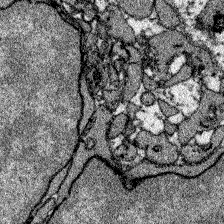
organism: Zebrafish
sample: Larval olfactory bulb